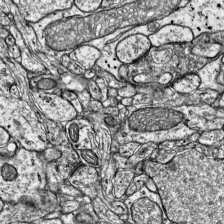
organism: Mouse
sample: Visual Cortex